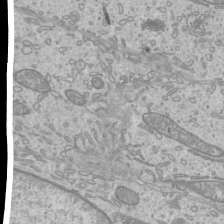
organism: Mouse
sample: Cilia; mouse epididymis